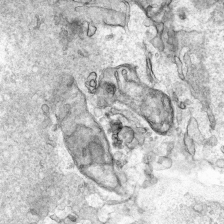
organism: Human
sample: Mitochondria in HCT116 cells